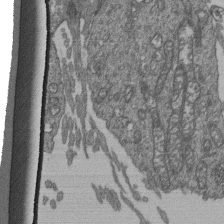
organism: Human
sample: Retinal organoid Rod and Cone cells